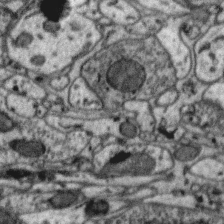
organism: Zebra finch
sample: Brain